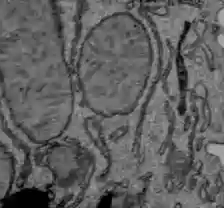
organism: C57BL Mouse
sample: Liver